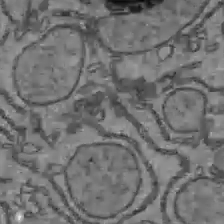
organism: C57BL Mouse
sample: Liver